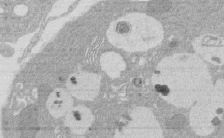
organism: Rat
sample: Salivary granule